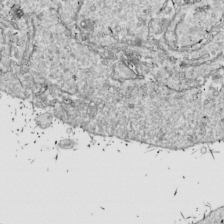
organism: Drosophila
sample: Cell division; meiosis; drosophila spermatocytes